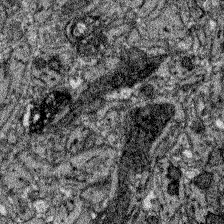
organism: Zebrafish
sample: Larval olfactory bulb